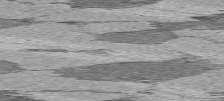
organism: C57BL Mouse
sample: Heart